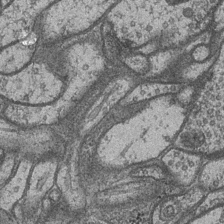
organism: Drosophila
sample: Optic medulla